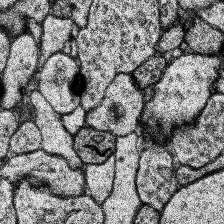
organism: Human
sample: Temporal Lobe